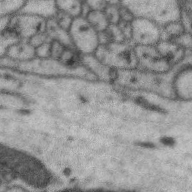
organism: Zebra finch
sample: Brain